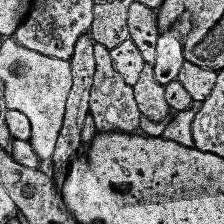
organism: Human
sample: Temporal Lobe